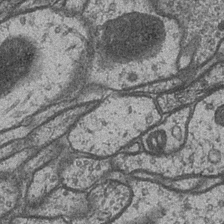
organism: Drosophila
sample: Optic medulla